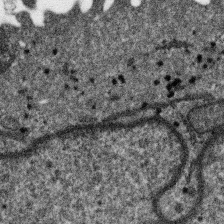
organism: Human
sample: Lung epithelial cells infected with SARS-CoV-2